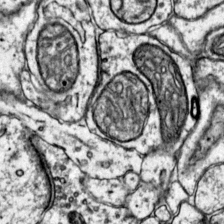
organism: Mouse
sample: Primary visual cortex